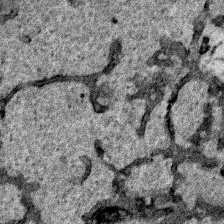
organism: Human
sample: Mitochondria in HCT116 cells